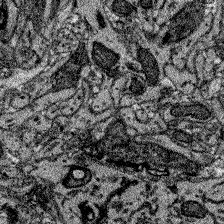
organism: Zebrafish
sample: Larval olfactory bulb